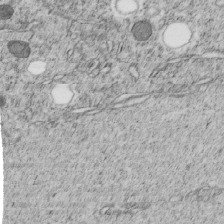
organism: C. elegans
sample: C. elegans embryo early stage